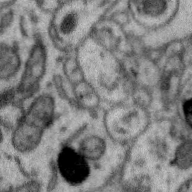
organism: Zebra finch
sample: Brain